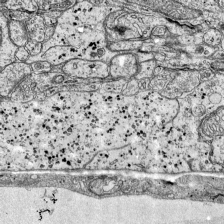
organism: Mouse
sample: Visual Cortex